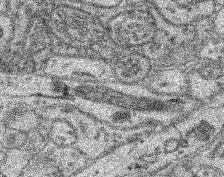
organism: Mouse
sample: Retina